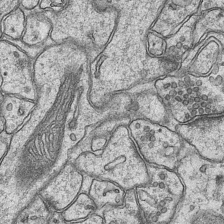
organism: Mouse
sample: CA1 Hippocampus